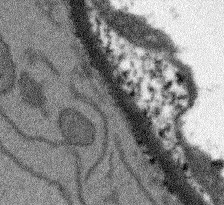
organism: Arabidopsis thaliana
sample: Root tip